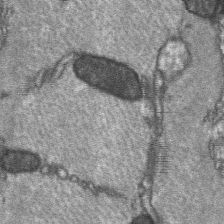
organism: C57BL Mouse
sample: Soleus